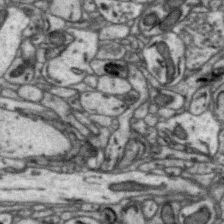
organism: Zebra finch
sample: Brain